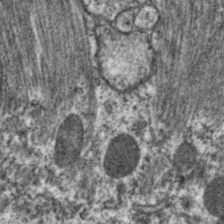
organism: C. elegans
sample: Pharynx